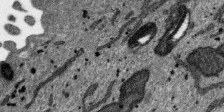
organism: Human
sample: Lung epithelial cells, uninfected (mock) control